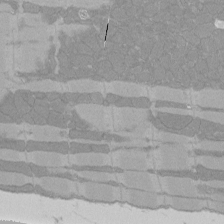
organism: Rat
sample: Left ventricle